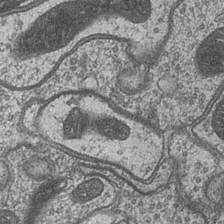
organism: Drosophila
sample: Optic medulla